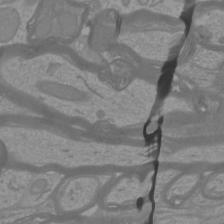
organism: Mouse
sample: Cortical neurons